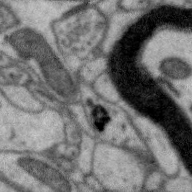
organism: Zebra finch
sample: Brain